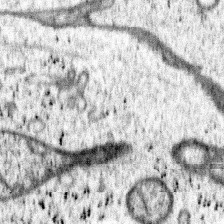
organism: Human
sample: HeLa cells